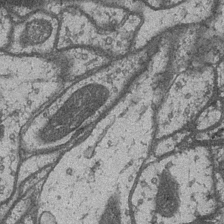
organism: Drosophila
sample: Optic medulla